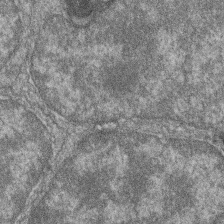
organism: Zebrafish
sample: Cilia; retinal pigment epithelium